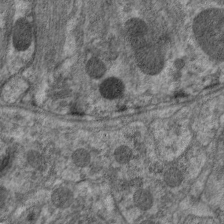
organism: C. elegans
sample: Pharynx